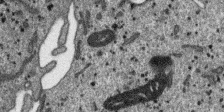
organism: Human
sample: Lung epithelial cells infected with SARS-CoV-2